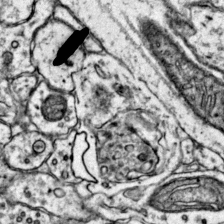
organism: Mouse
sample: Primary visual cortex